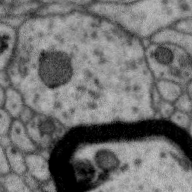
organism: Zebra finch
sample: Brain